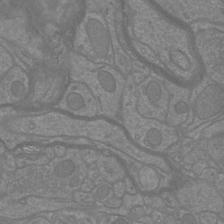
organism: Mouse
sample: Cortical neurons